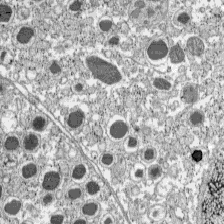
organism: C57BL Mouse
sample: Pancreatic islet